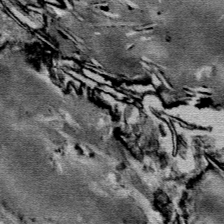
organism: Mouse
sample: Mouse Salivary gland